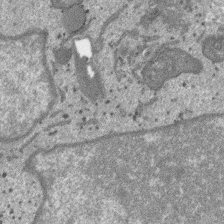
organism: Human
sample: Lung epithelial cells infected with SARS-CoV-2